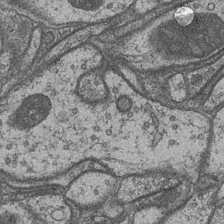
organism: Drosophila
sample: Optic medulla